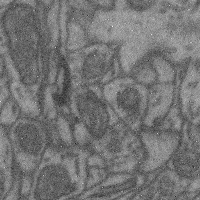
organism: Mouse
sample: Cerebral cortex